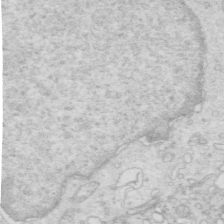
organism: Mouse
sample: Multiciliated cells